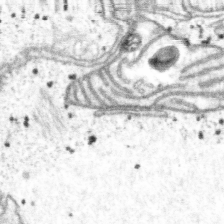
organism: Human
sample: HeLa cells